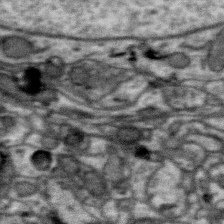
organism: Zebra finch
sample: Brain